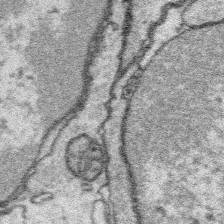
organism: Platynereis dumerilii